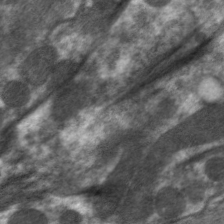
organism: C. elegans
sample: Pharynx